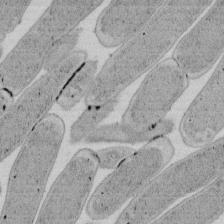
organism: E. coli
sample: Bacterial nucleoid